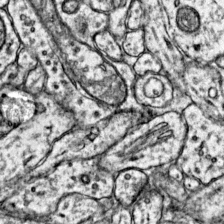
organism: Mouse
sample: Primary visual cortex